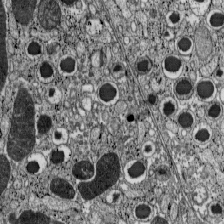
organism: C57BL Mouse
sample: Pancreatic islet